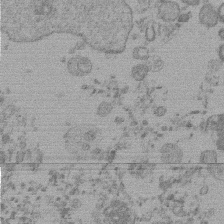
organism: Mouse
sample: Dividing mouse embryo 1 cell stage